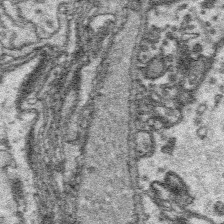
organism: Platynereis dumerilii